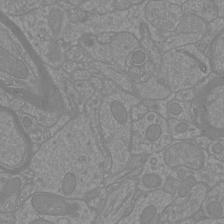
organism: Mouse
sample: Cortical neurons